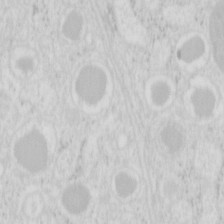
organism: Mouse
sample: Pancreas